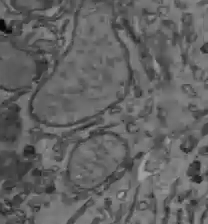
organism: C57BL Mouse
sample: Liver